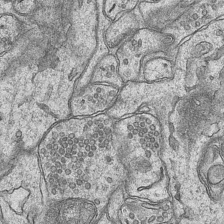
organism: Mouse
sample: CA1 Hippocampus